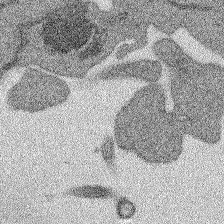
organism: Human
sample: HeLa cells